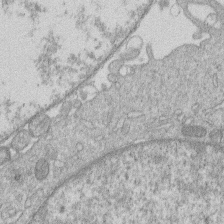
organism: Human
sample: Macrophage cells